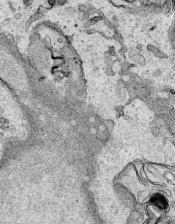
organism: Human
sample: Mitochondria in HCT116 cells